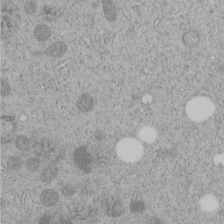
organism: C. elegans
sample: C. elegans embryo early stage